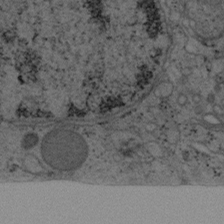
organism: Human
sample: HeLa cells